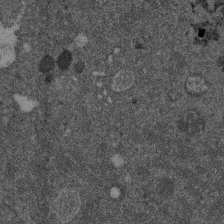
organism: Mouse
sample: Dividing mouse embryo 1 cell stage